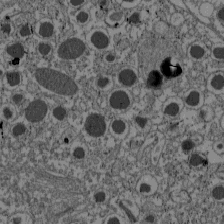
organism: C57BL Mouse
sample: Pancreatic islet